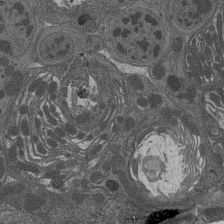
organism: Drosophila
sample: Antenna